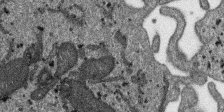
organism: Human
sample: Lung epithelial cells infected with SARS-CoV-2